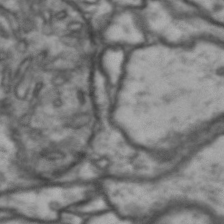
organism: Drosophila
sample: Brain